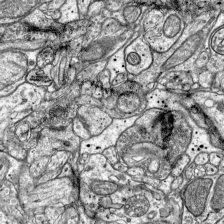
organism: Mouse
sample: Visual Cortex